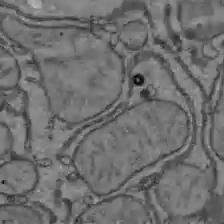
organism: C57BL Mouse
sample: Liver